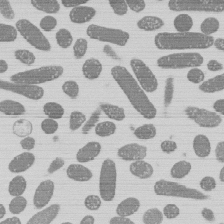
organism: E. coli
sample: Bacterial nucleoid